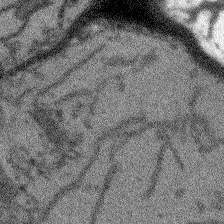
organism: Arabidopsis thaliana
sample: Root tip